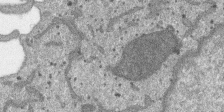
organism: Human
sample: Lung epithelial cells infected with SARS-CoV-2